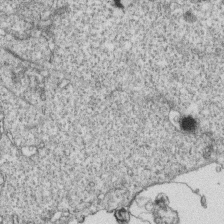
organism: Human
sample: HeLa cell HIV synapse